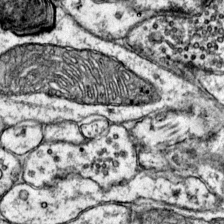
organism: Mouse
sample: Primary visual cortex